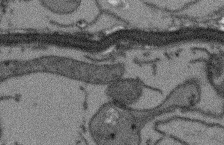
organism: Arabidopsis thaliana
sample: Root tip